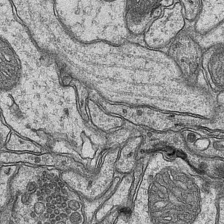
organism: Mouse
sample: CA1 Hippocampus